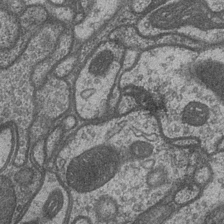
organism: Drosophila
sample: Optic medulla